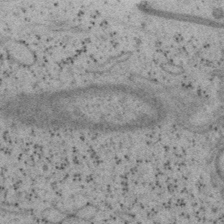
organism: Human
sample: HeLa cells